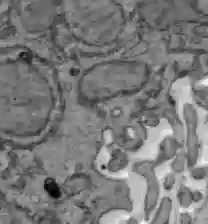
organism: C57BL Mouse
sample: Liver